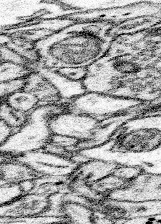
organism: Mouse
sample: Somatosensory cortex neuropil